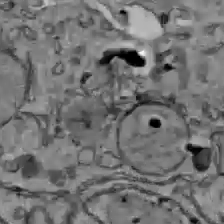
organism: C57BL Mouse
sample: Liver